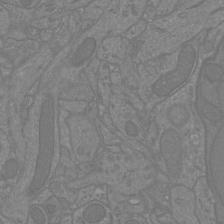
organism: Mouse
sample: Cortical neurons